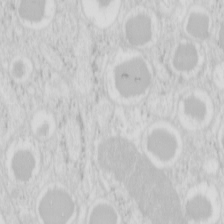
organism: Mouse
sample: Pancreas